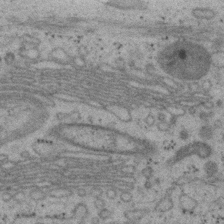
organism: Human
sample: HeLa cells